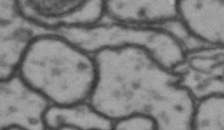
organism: Drosophila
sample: Brain